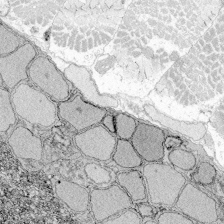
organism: Zebrafish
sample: Whole-Brain